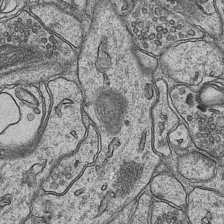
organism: Mouse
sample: CA1 Hippocampus